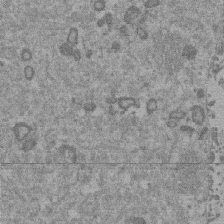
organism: Mouse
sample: Dividing mouse embryo 1 cell stage